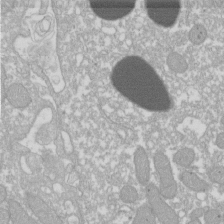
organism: Xenopus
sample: Cilia; centrioles in frog embryo cells